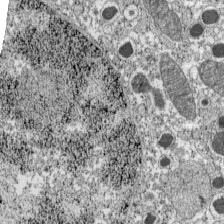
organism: C57BL Mouse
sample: Pancreatic islet